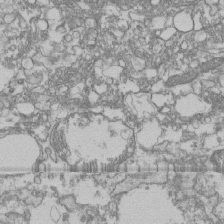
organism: Human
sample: Fibroblast cells